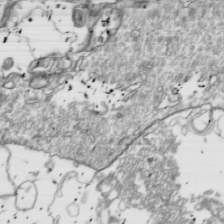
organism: Drosophila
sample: Cell division; meiosis; drosophila spermatocytes